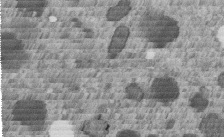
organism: C. elegans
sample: C. elegans embryo early stage